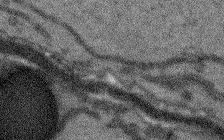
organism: Arabidopsis thaliana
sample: Root tip